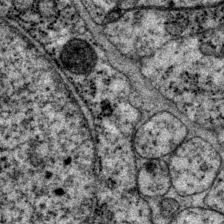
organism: P. pacificus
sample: Pharynx